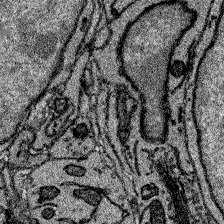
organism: Zebrafish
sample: Larval olfactory bulb